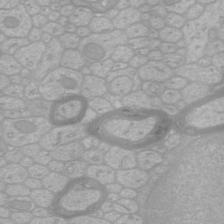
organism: Mouse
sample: Cortical neurons